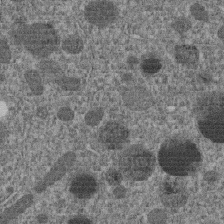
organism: C. elegans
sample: C. elegans embryo early stage